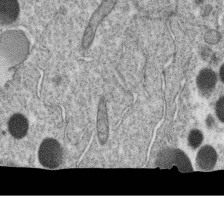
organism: C. elegans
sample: C. elegans oocyte; sperm cells